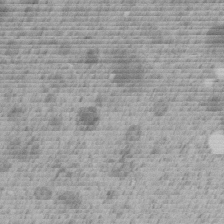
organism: C. elegans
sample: C. elegans embryo early stage